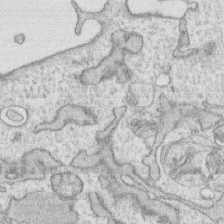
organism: Human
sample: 1205lu cells